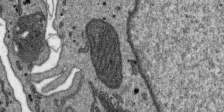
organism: Human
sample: Lung epithelial cells, uninfected (mock) control